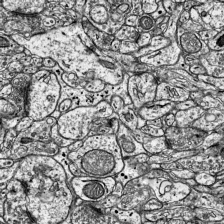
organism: Mouse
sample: Visual Cortex